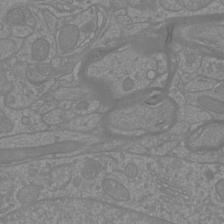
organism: Mouse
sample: Cortical neurons